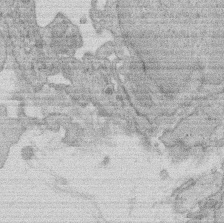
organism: Rat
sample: Salivary granule